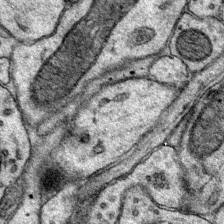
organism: Mouse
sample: Primary visual cortex